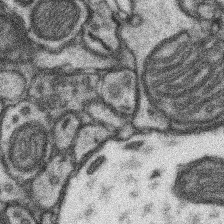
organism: Mouse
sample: Somatosensory cortex neuropil